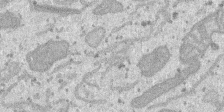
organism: Human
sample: Lung epithelial cells infected with SARS-CoV-2